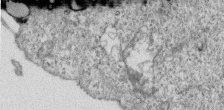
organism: Human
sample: HeLa cell HIV synapse